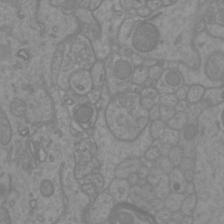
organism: Mouse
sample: Cortical neurons